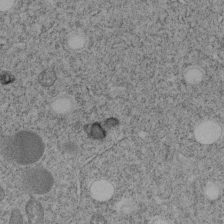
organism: C. elegans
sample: C. elegans embryo early stage